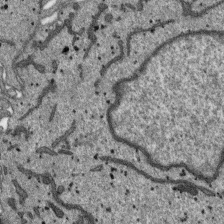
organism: Human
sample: Lung epithelial cells, uninfected (mock) control